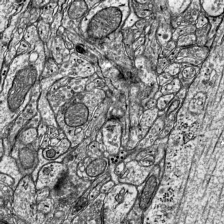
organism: Mouse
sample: Visual Cortex